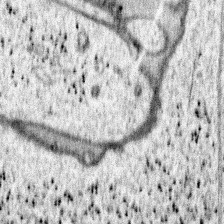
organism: Human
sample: HeLa cells